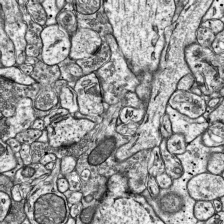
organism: Mouse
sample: Visual Cortex